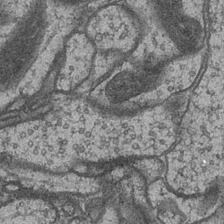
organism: Drosophila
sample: Optic medulla